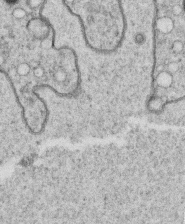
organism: C. elegans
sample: C. elegans oocyte; sperm cells